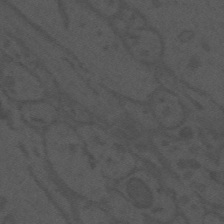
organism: Mouse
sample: Suprachiasmatic nucleus